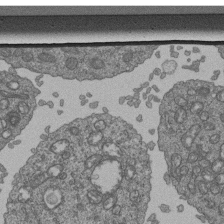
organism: Human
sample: Retinal organoid Rod and Cone cells